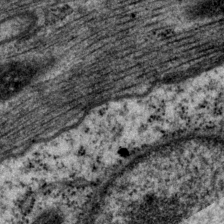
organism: P. pacificus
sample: Pharynx